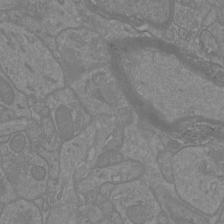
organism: Mouse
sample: Cortical neurons